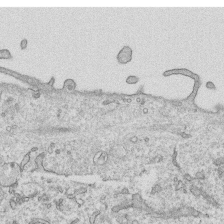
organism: Human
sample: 1205lu cells